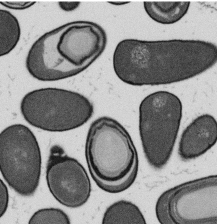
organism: B. subtilis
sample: Bacterial spore